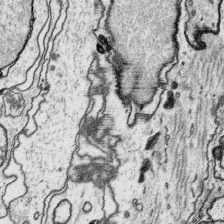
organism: Platynereis dumerilii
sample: Parapodia